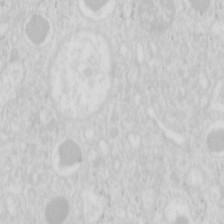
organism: Mouse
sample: Pancreas